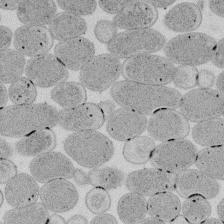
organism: E. coli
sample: Bacterial nucleoid